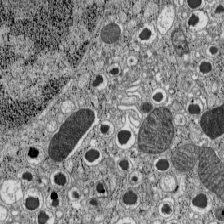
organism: C57BL Mouse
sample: Pancreatic islet